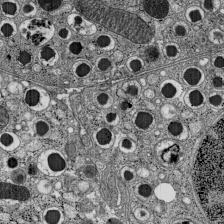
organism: C57BL Mouse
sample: Pancreatic islet